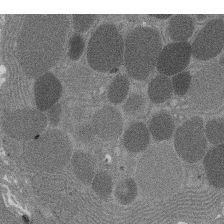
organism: Rat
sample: Salivary granule